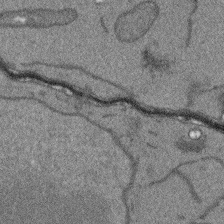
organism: Arabidopsis thaliana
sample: Root tip